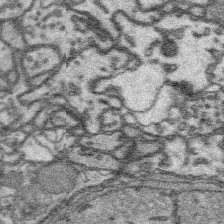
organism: Platynereis dumerilii